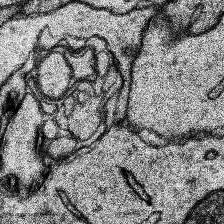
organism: Human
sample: Temporal Lobe